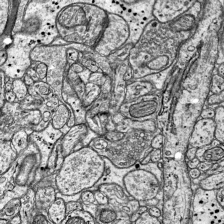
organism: Mouse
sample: Visual Cortex